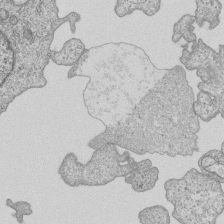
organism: Human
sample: MDA-MB-231 cells